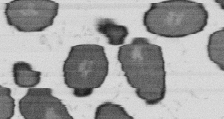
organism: B. subtilis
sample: Bacterial spore